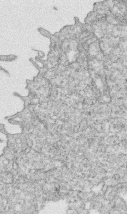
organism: Human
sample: HeLa cell HIV synapse